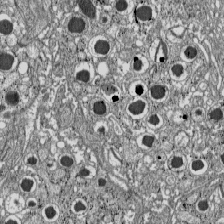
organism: C57BL Mouse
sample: Pancreatic islet